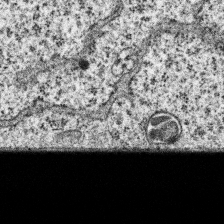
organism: Human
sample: HeLa cells